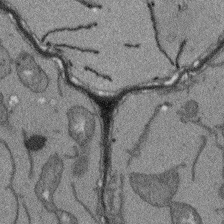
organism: Arabidopsis thaliana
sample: Root tip